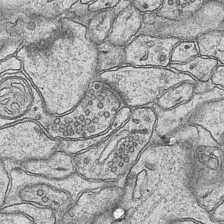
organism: Mouse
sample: CA1 Hippocampus